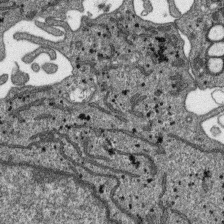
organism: Human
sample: Lung epithelial cells infected with SARS-CoV-2